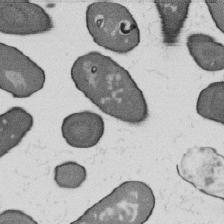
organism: B. subtilis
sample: Bacterial spore